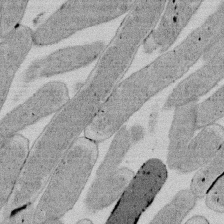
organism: E. coli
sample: Bacterial nucleoid